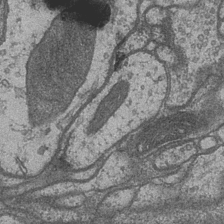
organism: Drosophila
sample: Optic medulla